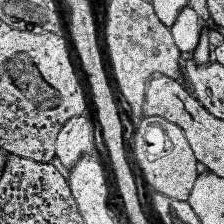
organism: Human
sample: Temporal Lobe